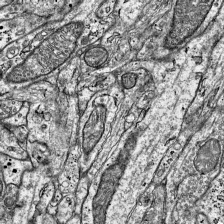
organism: Mouse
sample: Visual Cortex